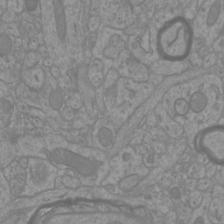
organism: Mouse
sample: Cortical neurons